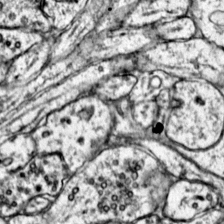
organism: Mouse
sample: Primary visual cortex